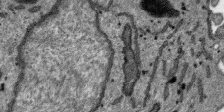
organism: Human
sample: Lung epithelial cells, uninfected (mock) control